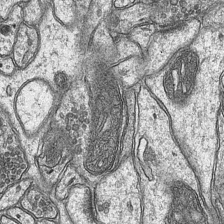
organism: Mouse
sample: CA1 Hippocampus